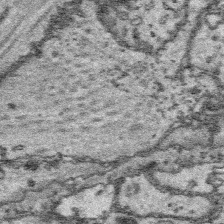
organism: Platynereis dumerilii